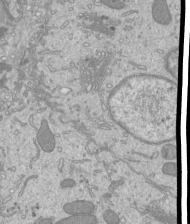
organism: Mouse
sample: Cilia; mouse epididymis